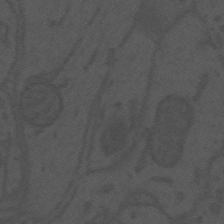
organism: Mouse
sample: Suprachiasmatic nucleus